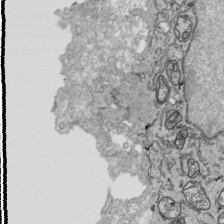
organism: Human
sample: Mitochondria in HCT116 cells